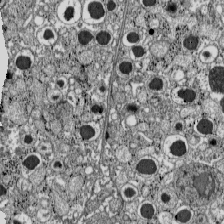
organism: C57BL Mouse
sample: Pancreatic islet